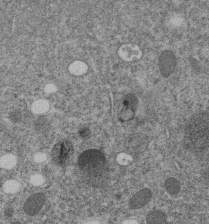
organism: C. elegans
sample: C. elegans embryo early stage